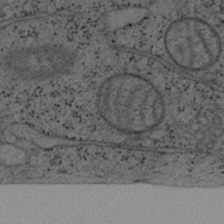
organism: Human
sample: HeLa cells